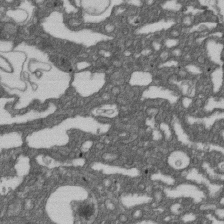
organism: Drosophila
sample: Nephrocyte